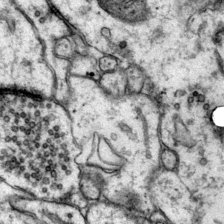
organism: Mouse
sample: Primary visual cortex